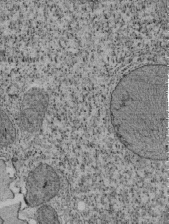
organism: Tetrahymena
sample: Cilia in tetrahymena